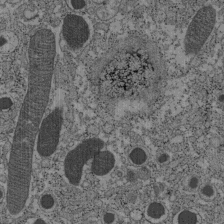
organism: C57BL Mouse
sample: Pancreatic islet